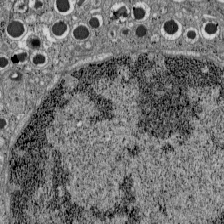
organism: C57BL Mouse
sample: Pancreatic islet